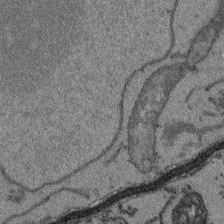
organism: Arabidopsis thaliana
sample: Root tip